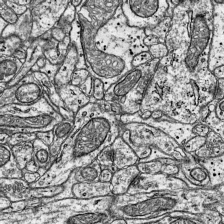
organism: Mouse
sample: Visual Cortex